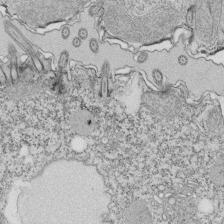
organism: Tetrahymena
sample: Cilia in tetrahymena